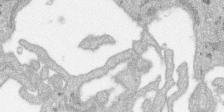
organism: Human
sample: Lung epithelial cells infected with SARS-CoV-2